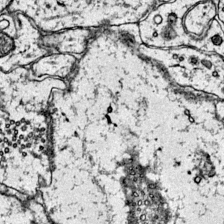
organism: Mouse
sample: Primary visual cortex